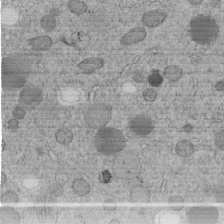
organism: C. elegans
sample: C. elegans embryo early stage